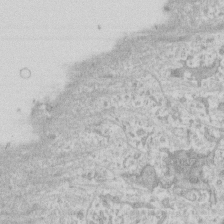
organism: Human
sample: Fibroblast cells